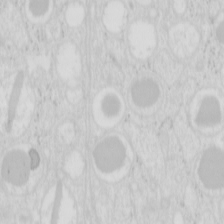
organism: Mouse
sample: Pancreas